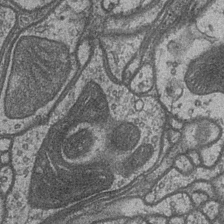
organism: Drosophila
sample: Optic medulla